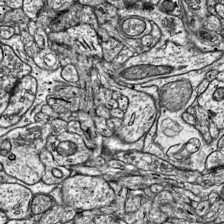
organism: Mouse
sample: Visual Cortex